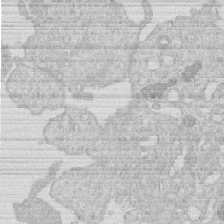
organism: Human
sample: Macrophage cells